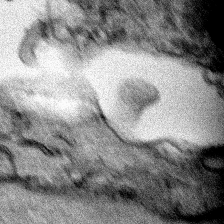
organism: Human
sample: Mitochondria in HCT116 cells